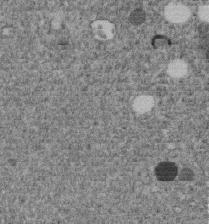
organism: C. elegans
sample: C. elegans embryo early stage